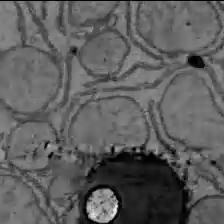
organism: C57BL Mouse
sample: Liver